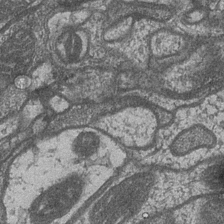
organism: Drosophila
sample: Optic medulla